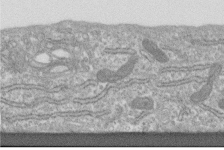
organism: Human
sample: Centriole in fibroblast cells